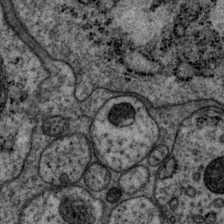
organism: P. pacificus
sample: Pharynx